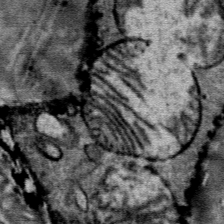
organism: Mouse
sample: Mouse Salivary gland